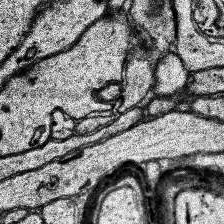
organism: Human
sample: Temporal Lobe